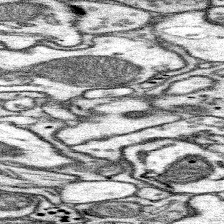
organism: Mouse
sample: Somatosensory cortex neuropil